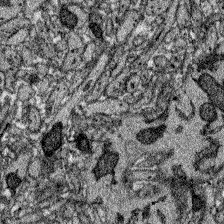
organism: Zebrafish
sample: Larval olfactory bulb